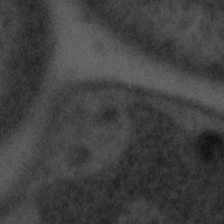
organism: Tuwongella immobilis